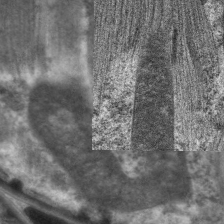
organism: C. elegans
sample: Pharynx